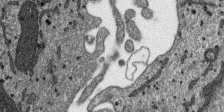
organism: Human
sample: Lung epithelial cells infected with SARS-CoV-2